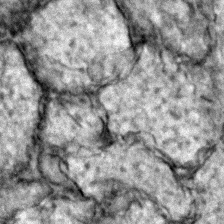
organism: Zebrafish